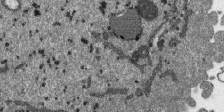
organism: Human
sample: Lung epithelial cells infected with SARS-CoV-2